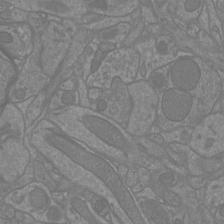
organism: Mouse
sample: Cortical neurons